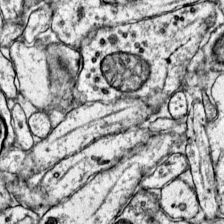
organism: Mouse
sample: Primary visual cortex